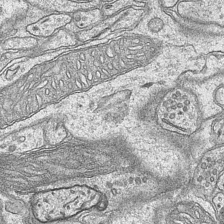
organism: Mouse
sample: CA1 Hippocampus